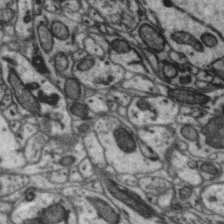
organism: Zebra finch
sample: Brain